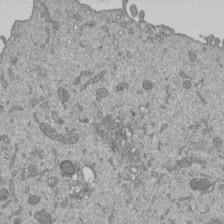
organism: Mouse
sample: ED-1 cell nuclei; centrioles